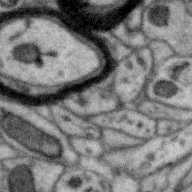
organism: Zebra finch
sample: Brain